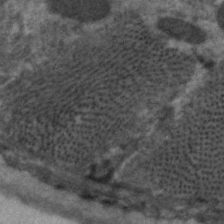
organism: C. elegans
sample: Pharynx